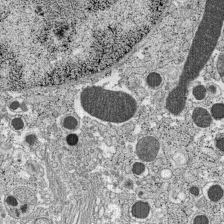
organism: C57BL Mouse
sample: Pancreatic islet